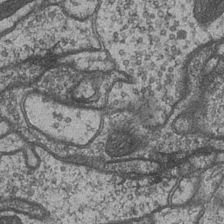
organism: Drosophila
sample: Optic medulla